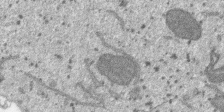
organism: Human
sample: Lung epithelial cells infected with SARS-CoV-2